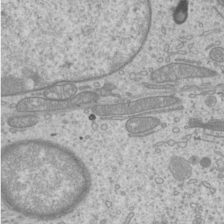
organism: Mouse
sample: Cilia; mouse epididymis